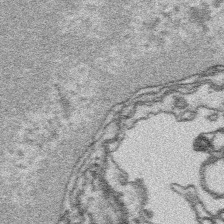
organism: Platynereis dumerilii